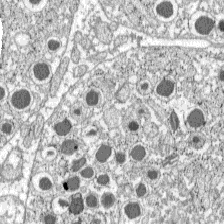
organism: C57BL Mouse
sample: Pancreatic islet